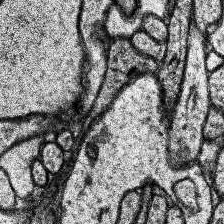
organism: Human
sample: Temporal Lobe